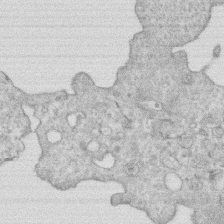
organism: Human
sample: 1205lu cells